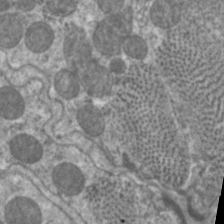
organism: C. elegans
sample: Pharynx